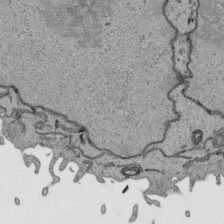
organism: Human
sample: Mitochondria in HCT116 cells